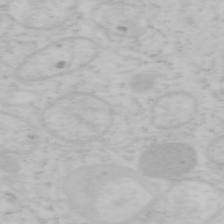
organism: Mouse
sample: OT-I killer T cells with ID8 ovarian cancer cells